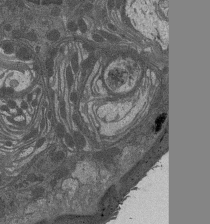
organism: Drosophila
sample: Antenna